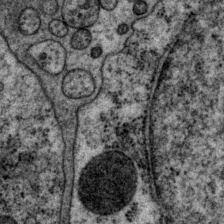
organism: P. pacificus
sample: Pharynx